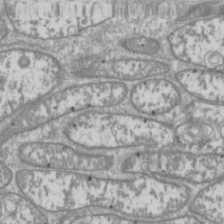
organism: Drosophila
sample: Cell division; meiosis; drosophila spermatocytes